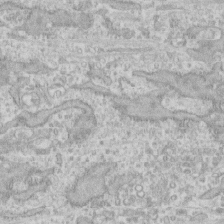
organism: Human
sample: CRL-1474